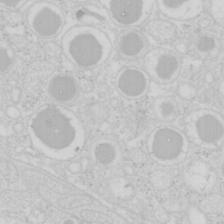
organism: Mouse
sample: Pancreas